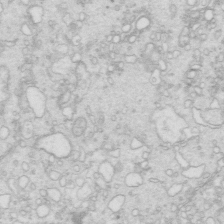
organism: Mouse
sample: Multiciliated cells